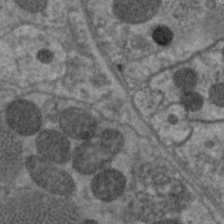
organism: C. elegans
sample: Pharynx